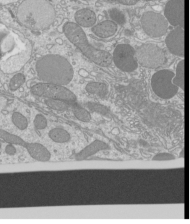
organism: Mouse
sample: Cilia; mouse epididymis